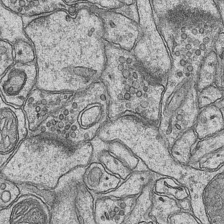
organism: Mouse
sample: CA1 Hippocampus